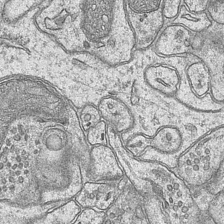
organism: Mouse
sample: CA1 Hippocampus